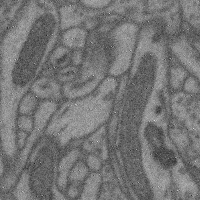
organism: Mouse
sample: Cerebral cortex